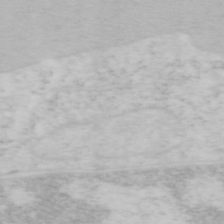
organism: Mouse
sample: OT-I killer T cells with ID8 ovarian cancer cells